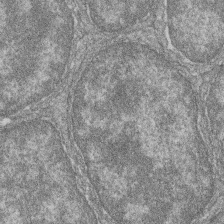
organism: Zebrafish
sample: Cilia; retinal pigment epithelium